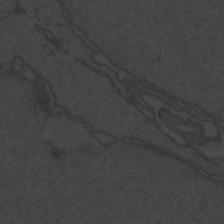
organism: Zebrafish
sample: Macrophage infected with Toxoplasma gondii